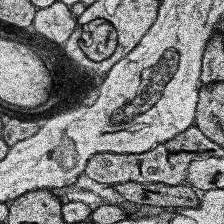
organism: Human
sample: Temporal Lobe